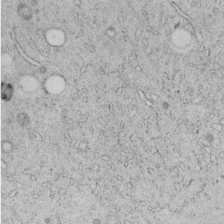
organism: C. elegans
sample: C. elegans embryo early stage